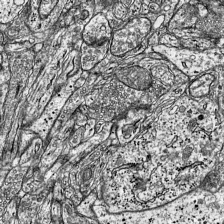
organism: Mouse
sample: Visual Cortex